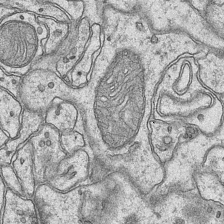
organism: Mouse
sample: CA1 Hippocampus